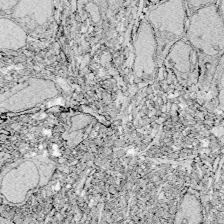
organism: Zebrafish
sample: Whole-Brain